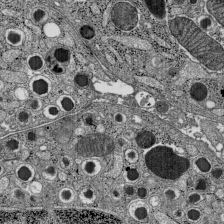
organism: C57BL Mouse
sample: Pancreatic islet